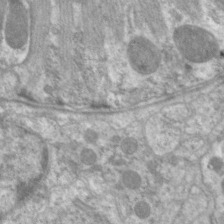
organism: C. elegans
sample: Pharynx